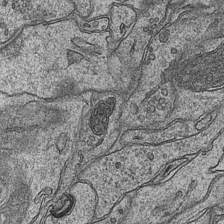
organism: Mouse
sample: CA1 Hippocampus